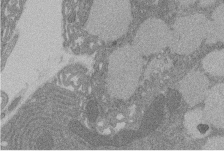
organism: Rat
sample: Salivary granule